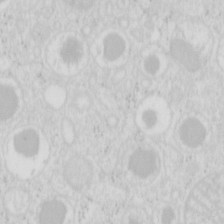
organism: Mouse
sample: Pancreas